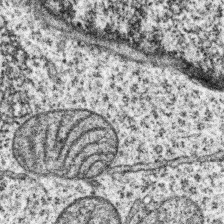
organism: Human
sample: HeLa cells